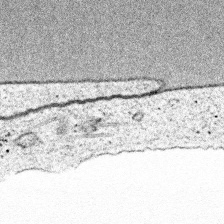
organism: Human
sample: HeLa cells